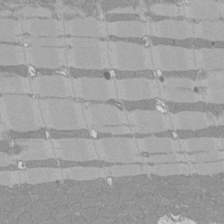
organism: Rat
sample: Left ventricle